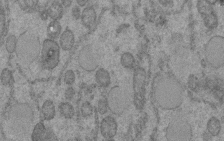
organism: C. elegans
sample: C. elegans embryo early stage